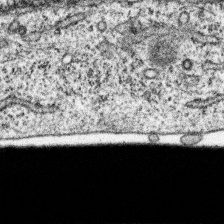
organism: Human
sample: HeLa cells